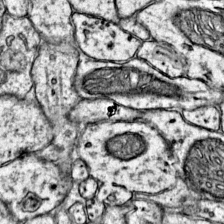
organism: Mouse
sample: Primary visual cortex